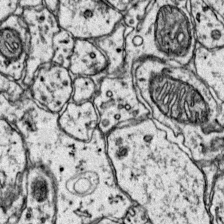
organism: Mouse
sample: Primary visual cortex